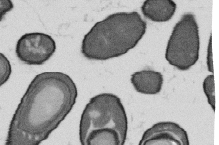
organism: B. subtilis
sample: Bacterial spore